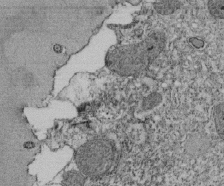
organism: Tetrahymena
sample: Cilia in tetrahymena